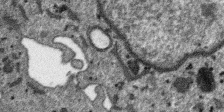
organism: Human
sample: Lung epithelial cells infected with SARS-CoV-2